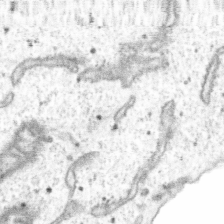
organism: Human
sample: HeLa cells